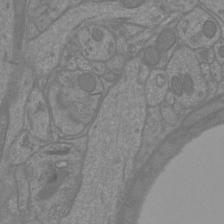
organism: Mouse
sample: Cortical neurons